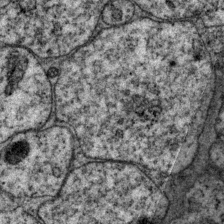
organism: P. pacificus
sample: Pharynx